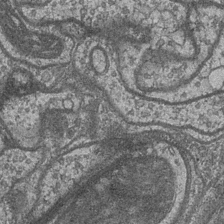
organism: Drosophila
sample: Optic medulla